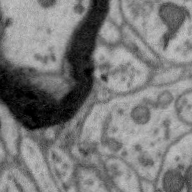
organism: Zebra finch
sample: Brain